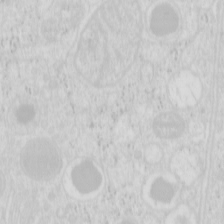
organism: Mouse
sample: Pancreas